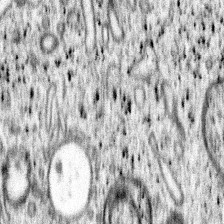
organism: Human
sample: HeLa cells